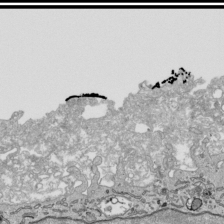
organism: Human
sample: Mitochondria in HCT116 cells